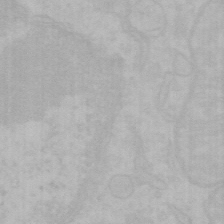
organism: Mouse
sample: Choroid plexus